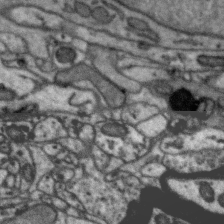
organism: Zebra finch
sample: Brain